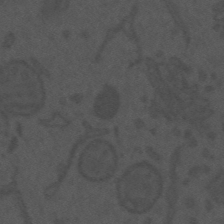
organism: Mouse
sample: Suprachiasmatic nucleus